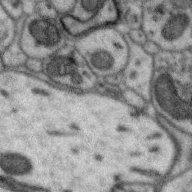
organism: Zebra finch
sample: Brain